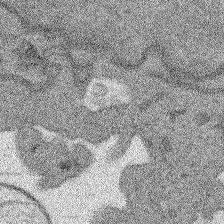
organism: Human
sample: HeLa cells